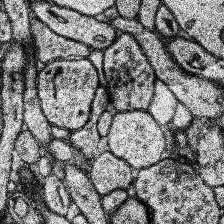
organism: Human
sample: Temporal Lobe